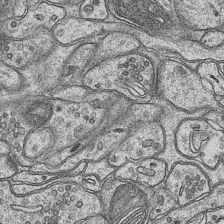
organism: Mouse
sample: CA1 Hippocampus